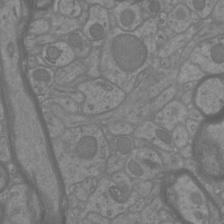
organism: Mouse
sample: Cortical neurons